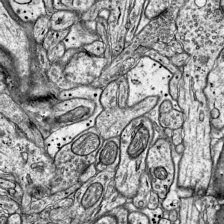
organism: Mouse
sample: Visual Cortex